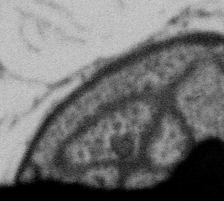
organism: Gemmata obscuriglobus